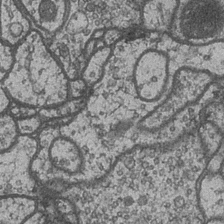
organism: Drosophila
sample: Optic medulla